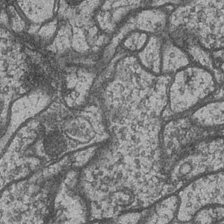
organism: Drosophila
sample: Optic medulla